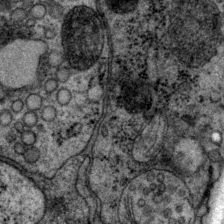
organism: P. pacificus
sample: Pharynx